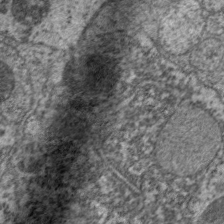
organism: C. elegans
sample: Pharynx